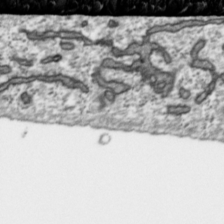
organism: Toxoplasma gondii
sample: Parasites in a vacuole inside a host cell